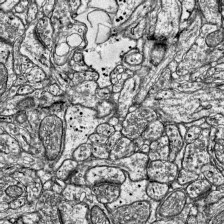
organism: Mouse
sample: Visual Cortex